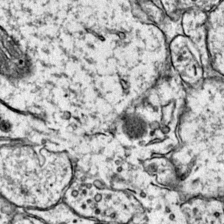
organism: Mouse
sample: Primary visual cortex